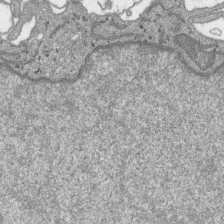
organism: Human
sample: Lung epithelial cells infected with SARS-CoV-2